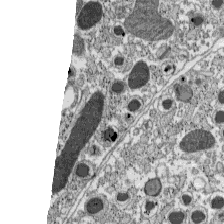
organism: C57BL Mouse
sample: Pancreatic islet